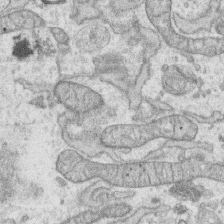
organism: Human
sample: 1205lu cells